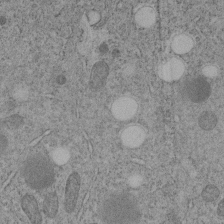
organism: C. elegans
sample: C. elegans embryo early stage